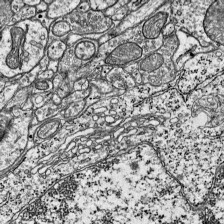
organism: Mouse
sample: Visual Cortex